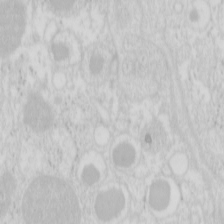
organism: Mouse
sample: Pancreas